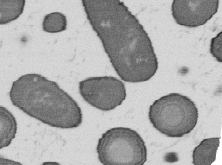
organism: B. subtilis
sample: Bacterial spore